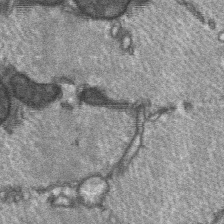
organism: C57BL Mouse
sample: Soleus